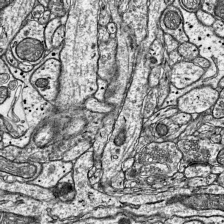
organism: Mouse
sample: Visual Cortex